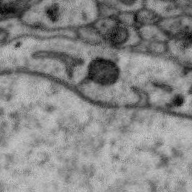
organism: Zebra finch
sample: Brain